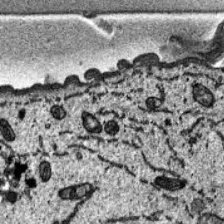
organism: Human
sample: HeLa cells